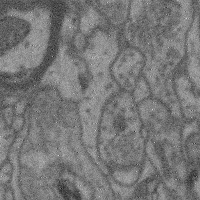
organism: Mouse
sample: Cerebral cortex